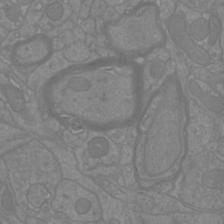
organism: Mouse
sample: Cortical neurons